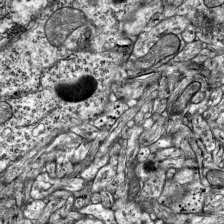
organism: Mouse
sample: Visual Cortex